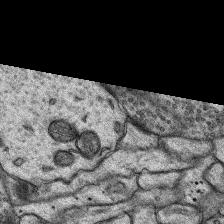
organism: Rat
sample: Hippocampus